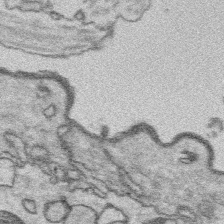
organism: Platynereis dumerilii